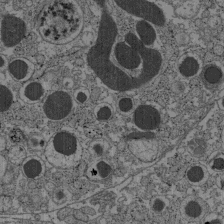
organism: C57BL Mouse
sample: Pancreatic islet